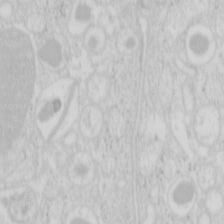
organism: Mouse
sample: Pancreas